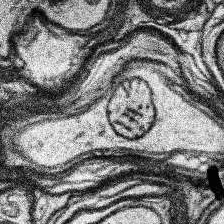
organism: Human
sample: Temporal Lobe